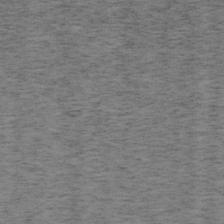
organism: Mouse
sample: OT-I killer T cells with ID8 ovarian cancer cells